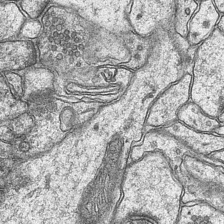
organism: Mouse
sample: CA1 Hippocampus